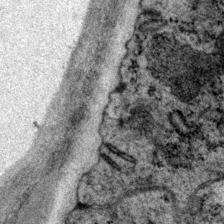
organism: P. pacificus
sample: Pharynx